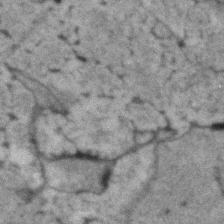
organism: Human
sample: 1205lu cells